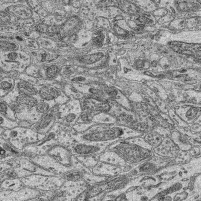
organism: Mouse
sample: Retina